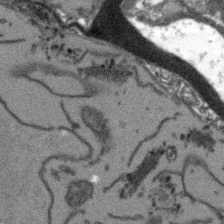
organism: Arabidopsis thaliana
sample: Root tip